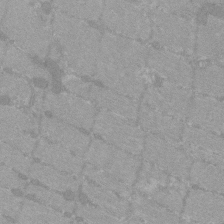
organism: C57BL Mouse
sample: Tibialis anterior muscle cell